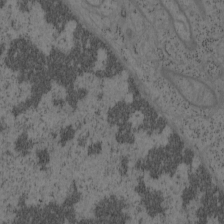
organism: Mouse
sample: OT-I killer T cells with ID8 ovarian cancer cells